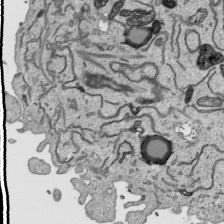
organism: Human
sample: Mitochondria in HCT116 cells